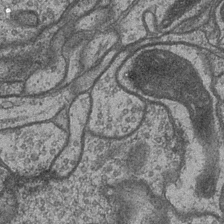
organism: Drosophila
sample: Optic medulla